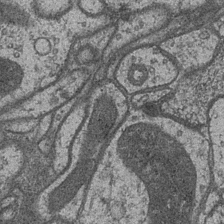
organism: Drosophila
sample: Optic medulla